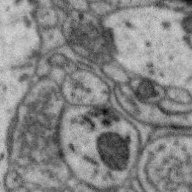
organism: Zebra finch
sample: Brain